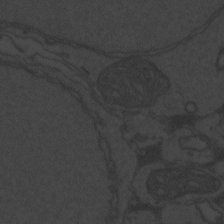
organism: Zebrafish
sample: Macrophage infected with Toxoplasma gondii